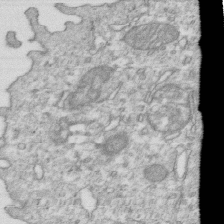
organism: Mouse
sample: Activated OT-1 CD8+ T cells